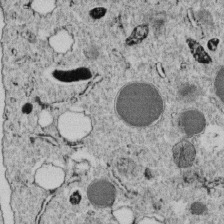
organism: C. elegans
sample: C. elegans embryo early stage